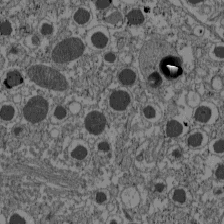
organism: C57BL Mouse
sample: Pancreatic islet